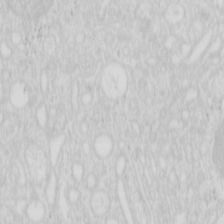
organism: Mouse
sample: Pancreas